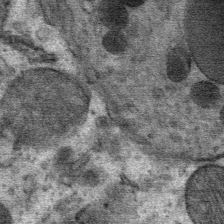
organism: Mouse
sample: Mouse Salivary gland